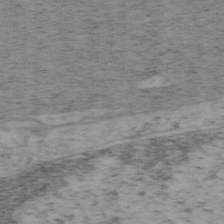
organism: Mouse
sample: OT-I killer T cells with ID8 ovarian cancer cells